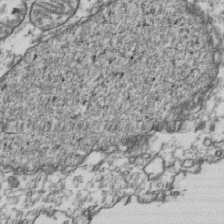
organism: Human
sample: Activated Jurkat CD4+ T cells